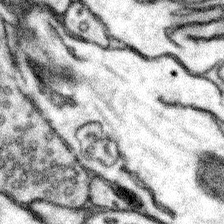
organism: Mouse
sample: Somatosensory cortex neuropil